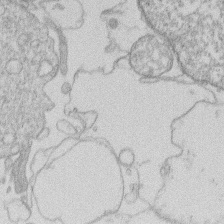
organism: Human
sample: Macrophage cells